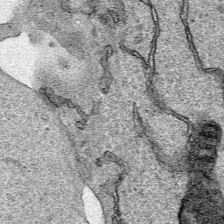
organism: Human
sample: Mitochondria in HCT116 cells